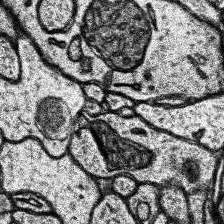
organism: Human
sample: Temporal Lobe